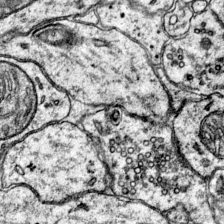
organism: Mouse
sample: Primary visual cortex